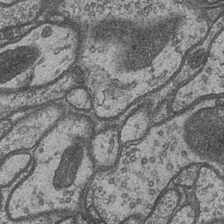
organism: Drosophila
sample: Optic medulla